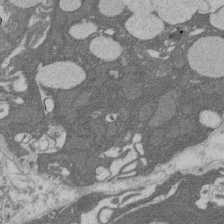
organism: Rat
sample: Salivary granule